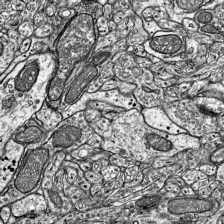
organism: Mouse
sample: Visual Cortex